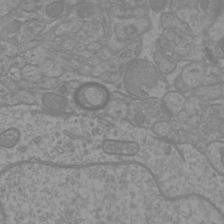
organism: Mouse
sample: Cortical neurons